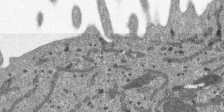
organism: Human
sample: Lung epithelial cells infected with SARS-CoV-2